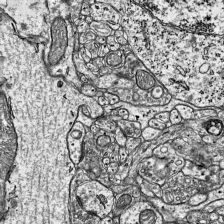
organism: Mouse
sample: Visual Cortex